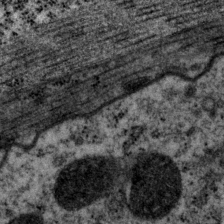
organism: P. pacificus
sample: Pharynx